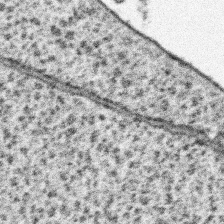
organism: Human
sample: HeLa cells